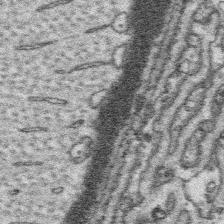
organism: Platynereis dumerilii